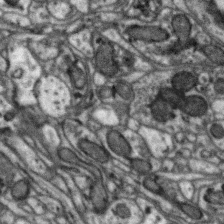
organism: Zebra finch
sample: Brain